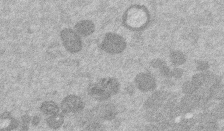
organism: Mouse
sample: Dividing mouse embryo 1 cell stage